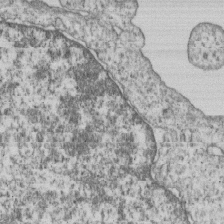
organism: Human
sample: MDA-MB-231 cells